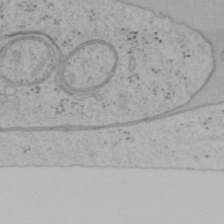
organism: Human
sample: HeLa cells